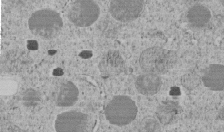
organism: C. elegans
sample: C. elegans embryo early stage